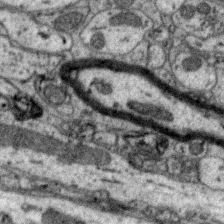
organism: Zebra finch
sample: Brain